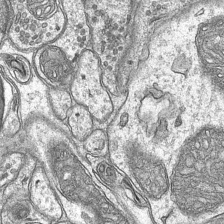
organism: Mouse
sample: CA1 Hippocampus